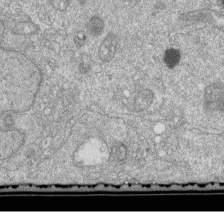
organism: Human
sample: HeLa cell HIV synapse